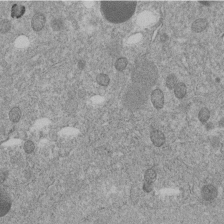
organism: C. elegans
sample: C. elegans embryo early stage